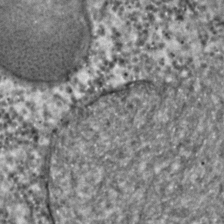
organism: C. elegans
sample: C. elegans embryo